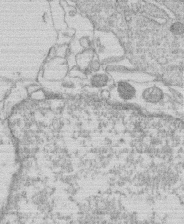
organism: Human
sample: Macrophage cells